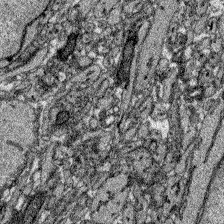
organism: Zebrafish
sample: Larval olfactory bulb